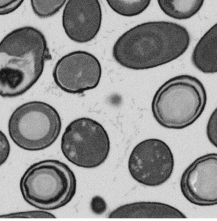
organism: B. subtilis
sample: Bacterial spore